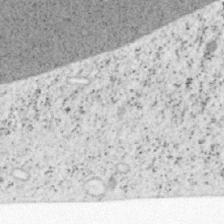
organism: Mouse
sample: OT-I killer T cells with ID8 ovarian cancer cells